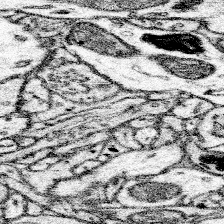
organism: Mouse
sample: Somatosensory cortex neuropil